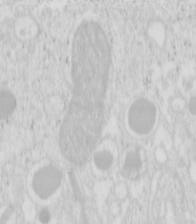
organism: Mouse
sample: Pancreas